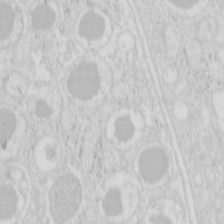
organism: Mouse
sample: Pancreas